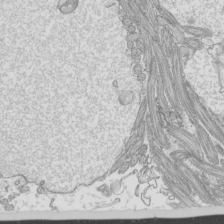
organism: Mouse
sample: Cilia; mouse epididymis